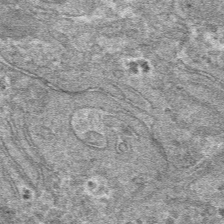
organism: Mouse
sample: Mouse hepatocytes